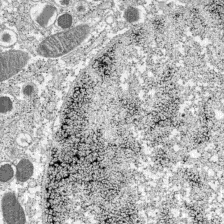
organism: C57BL Mouse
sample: Pancreatic islet